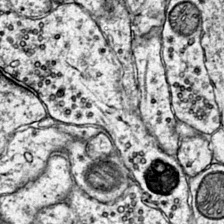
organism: Mouse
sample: Primary visual cortex